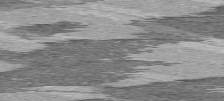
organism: C57BL Mouse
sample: Heart